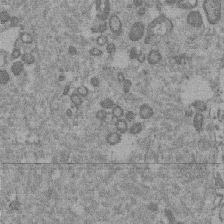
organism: Mouse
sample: Dividing mouse embryo 1 cell stage